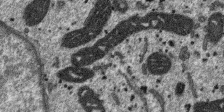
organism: Human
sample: Lung epithelial cells infected with SARS-CoV-2